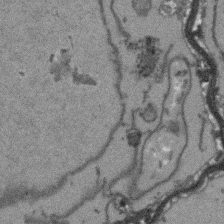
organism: Arabidopsis thaliana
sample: Root tip